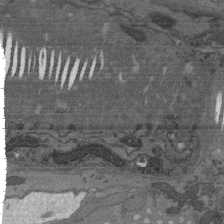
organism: C. elegans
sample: AFD neurons C. elegans